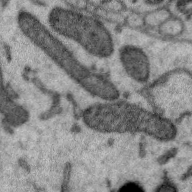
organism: Zebra finch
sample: Brain